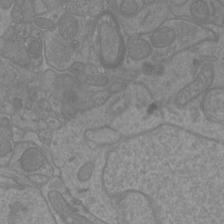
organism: Mouse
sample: Cortical neurons